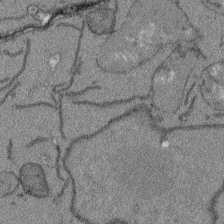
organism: Arabidopsis thaliana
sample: Root tip